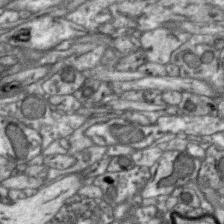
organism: Zebra finch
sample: Brain